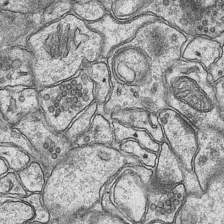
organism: Mouse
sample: CA1 Hippocampus